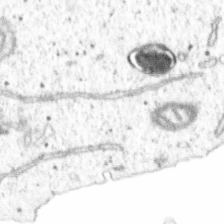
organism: Human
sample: HeLa cells